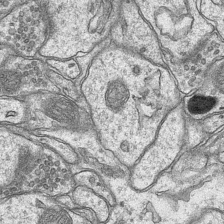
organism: Mouse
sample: CA1 Hippocampus